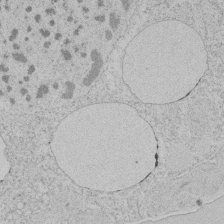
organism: Tetrahymena